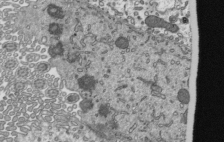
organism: Mouse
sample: Mouse epididymis efferent ductule cilia